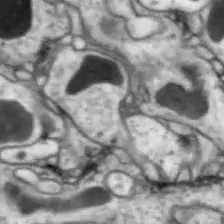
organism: Drosophila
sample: Optic lobe